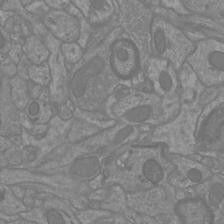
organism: Mouse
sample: Cortical neurons